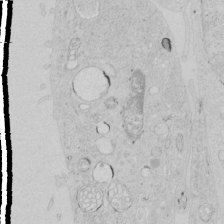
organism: Human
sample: Mitochondria in HCT116 cells